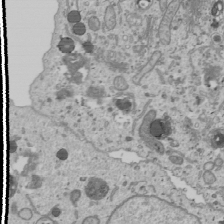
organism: Human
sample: Mitochondria in U2OS cells